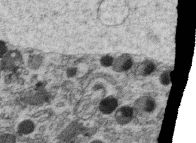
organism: C. elegans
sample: C. elegans oocyte; sperm cells